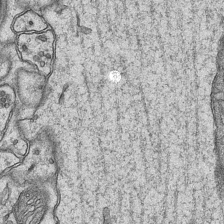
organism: Mouse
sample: CA1 Hippocampus